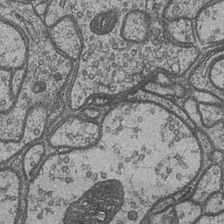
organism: Drosophila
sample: Optic medulla